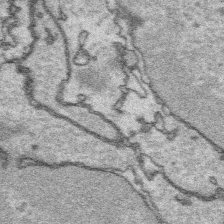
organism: Platynereis dumerilii